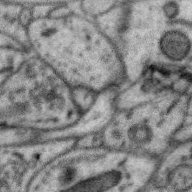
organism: Zebra finch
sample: Brain